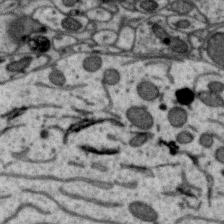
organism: Zebra finch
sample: Brain